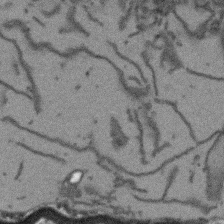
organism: Arabidopsis thaliana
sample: Root tip